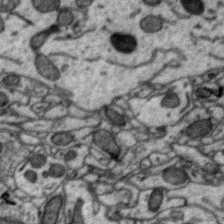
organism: Zebra finch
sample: Brain